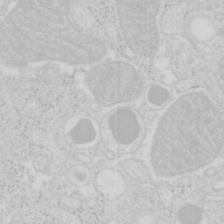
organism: Mouse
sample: Pancreas